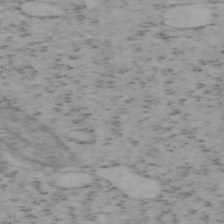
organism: Mouse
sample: OT-I killer T cells with ID8 ovarian cancer cells